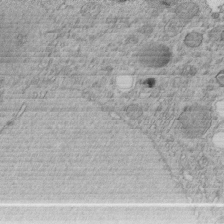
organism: C. elegans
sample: C. elegans embryo early stage